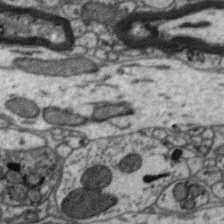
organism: Zebra finch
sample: Brain